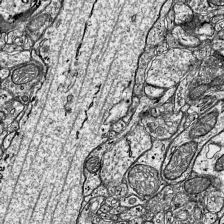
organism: Mouse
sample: Visual Cortex